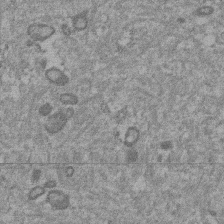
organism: Mouse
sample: Dividing mouse embryo 1 cell stage